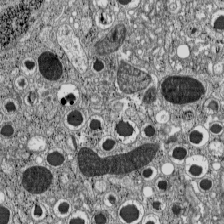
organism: C57BL Mouse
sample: Pancreatic islet